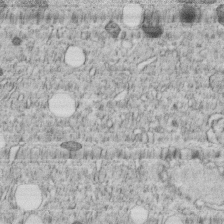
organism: C. elegans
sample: C. elegans embryo early stage